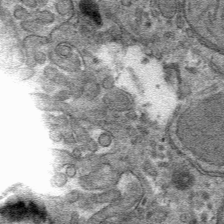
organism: Mouse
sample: Mouse hepatocytes